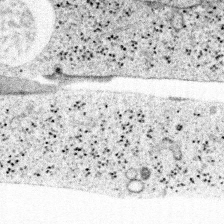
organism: Human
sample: HeLa cells